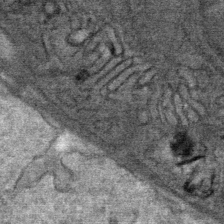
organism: Mouse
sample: Mouse Salivary gland